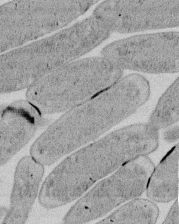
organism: E. coli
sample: Bacterial nucleoid